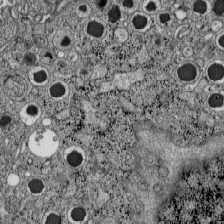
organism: C57BL Mouse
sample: Pancreatic islet